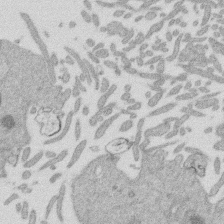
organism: Mouse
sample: Dividing mouse embryo 1 cell stage